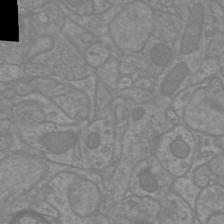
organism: Mouse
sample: Cortical neurons